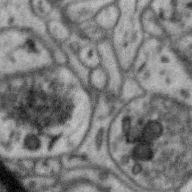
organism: Zebra finch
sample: Brain